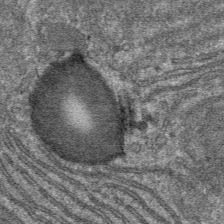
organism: Mouse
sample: Mouse hepatocytes